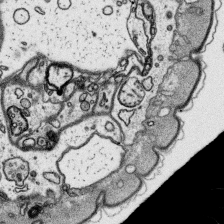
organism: Platynereis dumerilii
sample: Parapodia